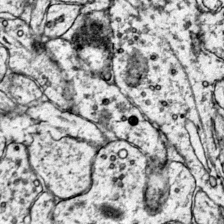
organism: Mouse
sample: Primary visual cortex